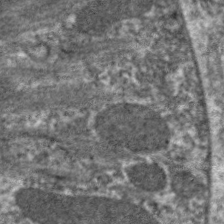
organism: C. elegans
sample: Pharynx